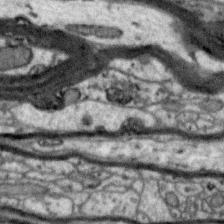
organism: Zebra finch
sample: Brain